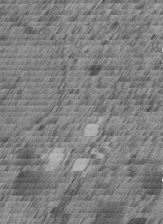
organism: C. elegans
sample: C. elegans embryo early stage